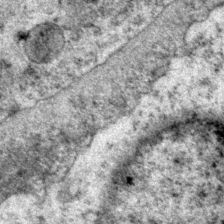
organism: P. pacificus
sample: Pharynx